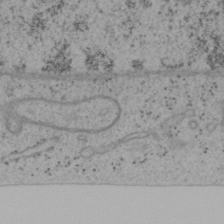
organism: Human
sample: HeLa cells